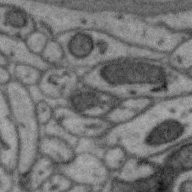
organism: Zebra finch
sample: Brain